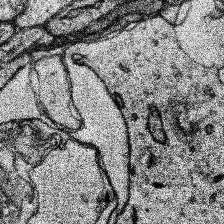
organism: Human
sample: Temporal Lobe